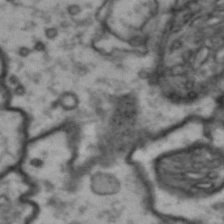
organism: Drosophila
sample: Brain